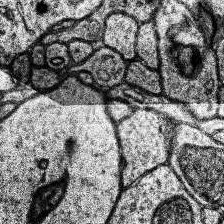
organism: Human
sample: Temporal Lobe